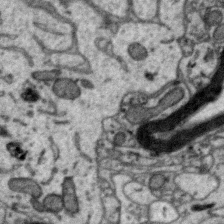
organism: Zebra finch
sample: Brain